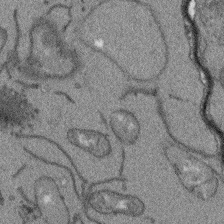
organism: Arabidopsis thaliana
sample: Root tip